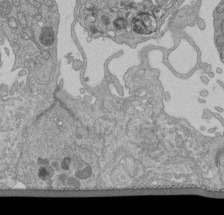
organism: Human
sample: Retinal organoid Rod and Cone cells